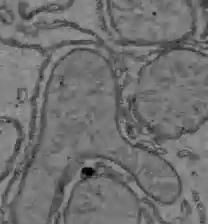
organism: C57BL Mouse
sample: Liver